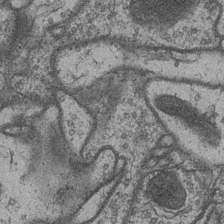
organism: Drosophila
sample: Optic medulla